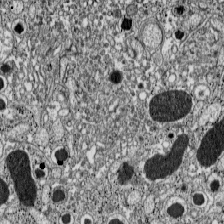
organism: C57BL Mouse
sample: Pancreatic islet